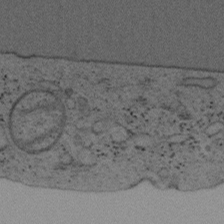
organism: Human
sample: HeLa cells